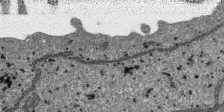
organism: Human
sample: Lung epithelial cells infected with SARS-CoV-2